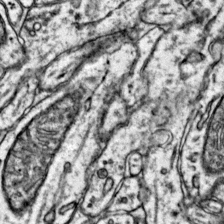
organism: Mouse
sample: Primary visual cortex